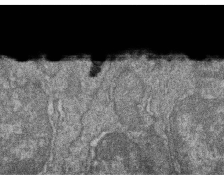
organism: Zebrafish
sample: Cilia; retinal pigment epithelium